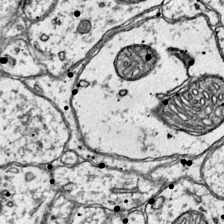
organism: Mouse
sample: Primary visual cortex